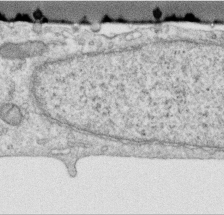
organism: Human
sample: Centriole in RPE cells